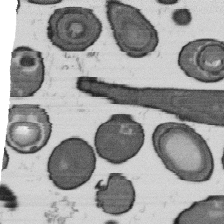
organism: B. subtilis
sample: Bacterial spore